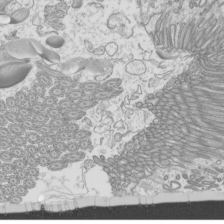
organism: Mouse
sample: Cilia; mouse epididymis